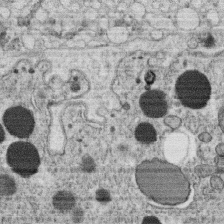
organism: C. elegans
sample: C. elegans oocyte; sperm cells